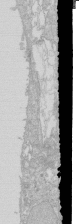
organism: Human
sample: Caco-2 cells